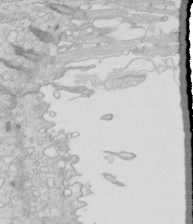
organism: Mouse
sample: Multiciliated cells